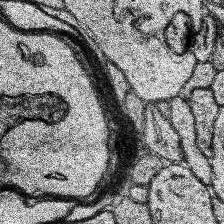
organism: Human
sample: Temporal Lobe